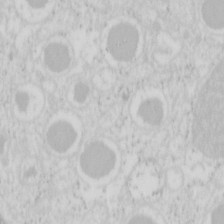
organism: Mouse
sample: Pancreas